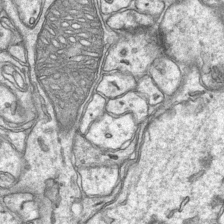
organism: Mouse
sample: CA1 Hippocampus